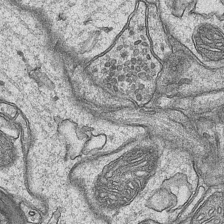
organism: Mouse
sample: CA1 Hippocampus